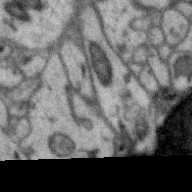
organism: Zebra finch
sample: Brain